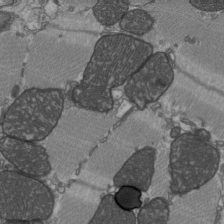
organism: C57BL Mouse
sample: Heart